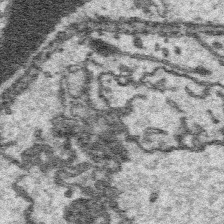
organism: Platynereis dumerilii